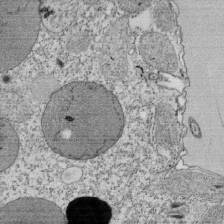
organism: Tetrahymena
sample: Cilia in tetrahymena